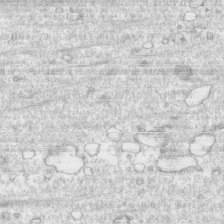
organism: Human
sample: CRL-1474